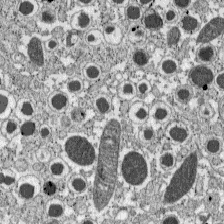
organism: C57BL Mouse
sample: Pancreatic islet